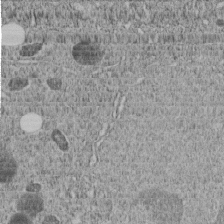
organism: C. elegans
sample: C. elegans embryo early stage